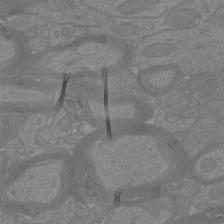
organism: Mouse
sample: Cortical neurons